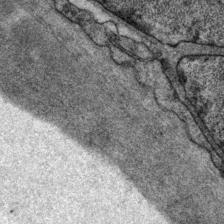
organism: P. pacificus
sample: Pharynx